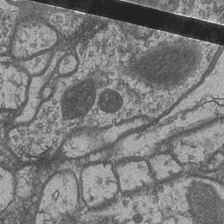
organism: Drosophila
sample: Optic medulla